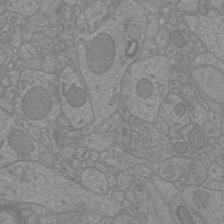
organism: Mouse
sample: Cortical neurons